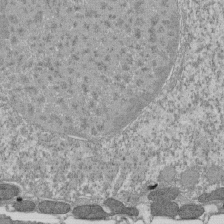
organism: Tetrahymena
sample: Cilia in tetrahymena